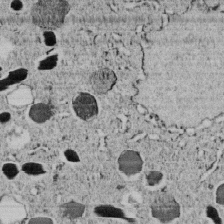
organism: C. elegans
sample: C. elegans embryo early stage